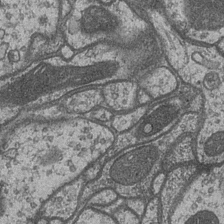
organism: Drosophila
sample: Optic medulla